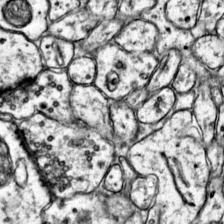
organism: Mouse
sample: Primary visual cortex